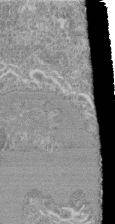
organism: Mouse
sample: Glomerulus